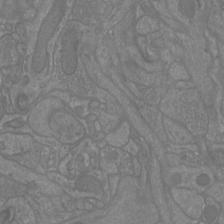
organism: Mouse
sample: Cortical neurons